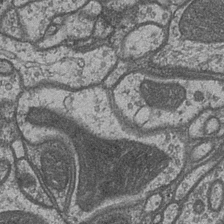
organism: Drosophila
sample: Optic medulla